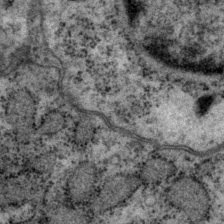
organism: P. pacificus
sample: Pharynx